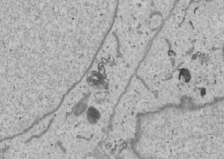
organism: Human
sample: Mitochondria in U2OS cells